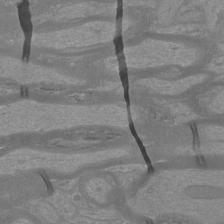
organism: Mouse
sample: Cortical neurons